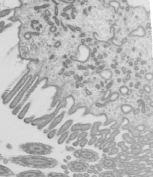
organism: Mouse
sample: Mouse epididymis efferent ductule cilia